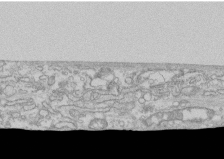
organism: Human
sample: CRL-1474